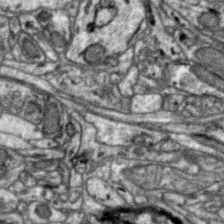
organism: Zebra finch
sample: Brain